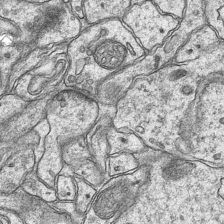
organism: Mouse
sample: CA1 Hippocampus